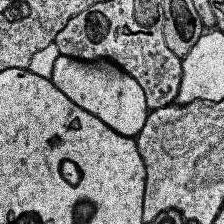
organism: Human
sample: Temporal Lobe